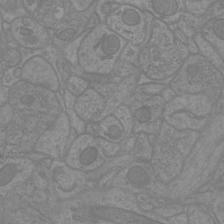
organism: Mouse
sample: Cortical neurons